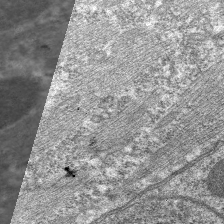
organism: C. elegans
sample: Pharynx